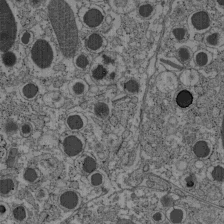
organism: C57BL Mouse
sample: Pancreatic islet